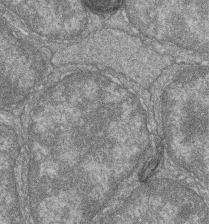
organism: Zebrafish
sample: Cilia; retinal pigment epithelium